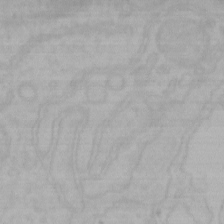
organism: Mouse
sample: Choroid plexus